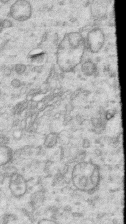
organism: Human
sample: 1205lu cells